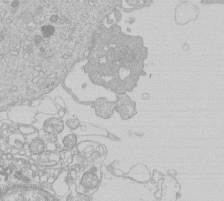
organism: Human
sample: Macrophage cells